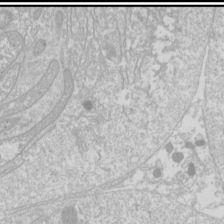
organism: Drosophila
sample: Cell division; meiosis; drosophila spermatocytes